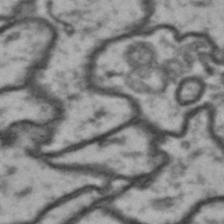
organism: Drosophila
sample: Brain